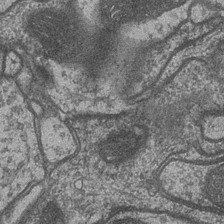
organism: Drosophila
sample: Optic medulla